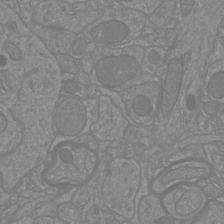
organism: Mouse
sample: Cortical neurons